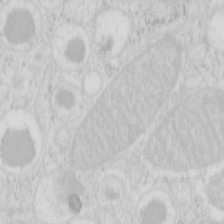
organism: Mouse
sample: Pancreas